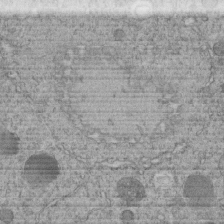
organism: C. elegans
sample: C. elegans embryo early stage